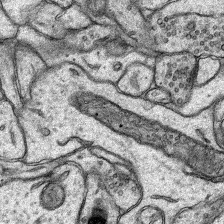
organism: Rat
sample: Hippocampus